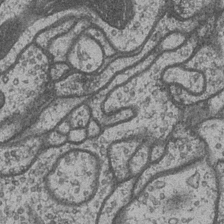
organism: Drosophila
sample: Optic medulla